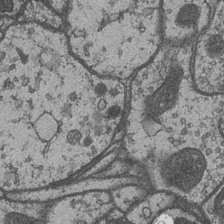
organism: Drosophila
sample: Optic medulla